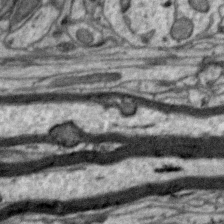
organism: Zebra finch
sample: Brain